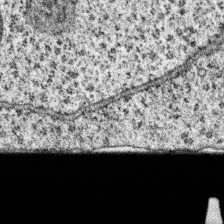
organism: Human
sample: HeLa cells